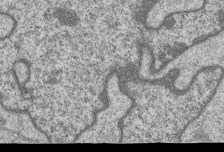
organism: Human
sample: MDA-MB-231 cells